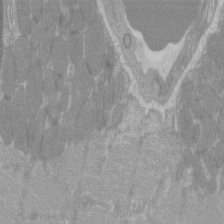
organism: C57BL Mouse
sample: Tibialis anterior muscle cell